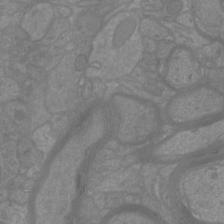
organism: Mouse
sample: Cortical neurons